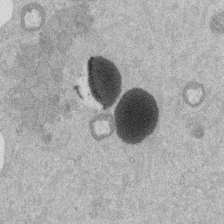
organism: Mouse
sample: Dividing mouse embryo 1 cell stage